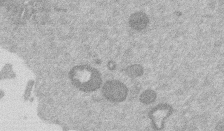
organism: Mouse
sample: Dividing mouse embryo 1 cell stage